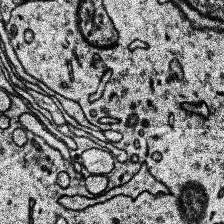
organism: Human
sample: Temporal Lobe